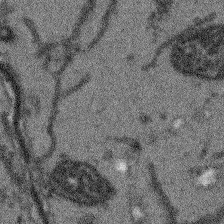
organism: Arabidopsis thaliana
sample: Root tip